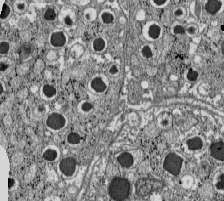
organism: C57BL Mouse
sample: Pancreatic islet